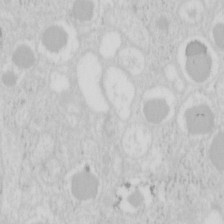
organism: Mouse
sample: Pancreas